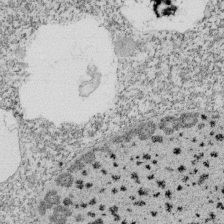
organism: Tetrahymena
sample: Cilia in tetrahymena